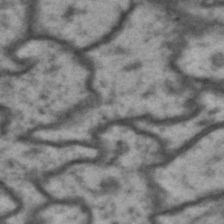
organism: Drosophila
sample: Brain